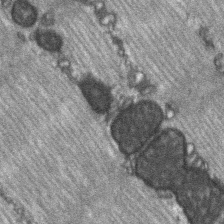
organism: C57BL Mouse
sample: Soleus